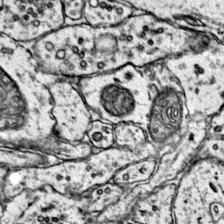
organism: Mouse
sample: Primary visual cortex